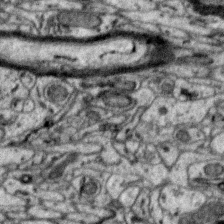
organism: Zebra finch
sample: Brain